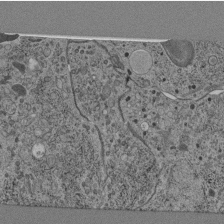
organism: C. elegans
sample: C. elegans pharynx